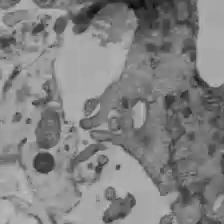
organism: C57BL Mouse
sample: Liver